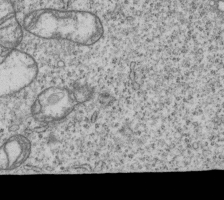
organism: Human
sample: MDA-MB-231 cells